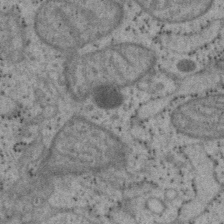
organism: Human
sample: HeLa cells